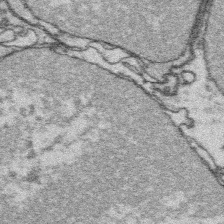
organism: Platynereis dumerilii